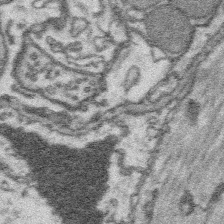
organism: Platynereis dumerilii